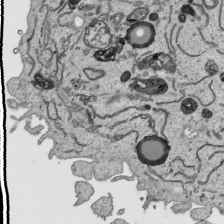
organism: Human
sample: Mitochondria in HCT116 cells